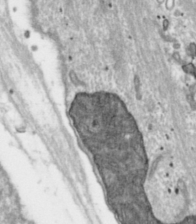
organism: Toxoplasma gondii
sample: Parasites in a vacuole inside a host cell